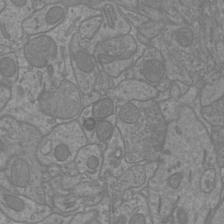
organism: Mouse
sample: Cortical neurons